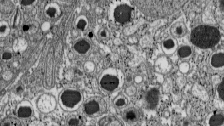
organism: C57BL Mouse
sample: Pancreatic islet